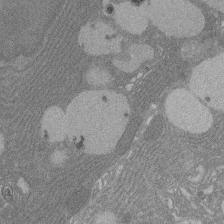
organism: Rat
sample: Salivary granule